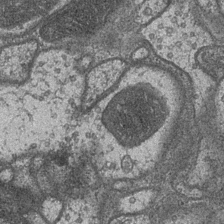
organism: Drosophila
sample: Optic medulla